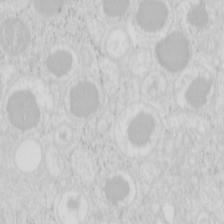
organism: Mouse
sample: Pancreas